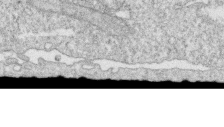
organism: Human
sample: HeLa cell HIV synapse